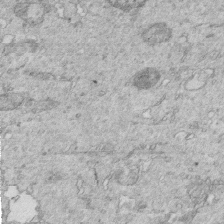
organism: Mouse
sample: Multiciliated cells